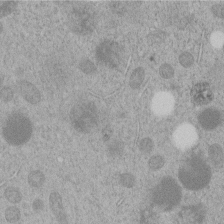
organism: C. elegans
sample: C. elegans embryo early stage